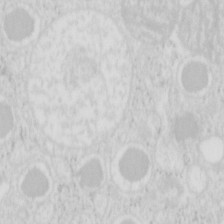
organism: Mouse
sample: Pancreas